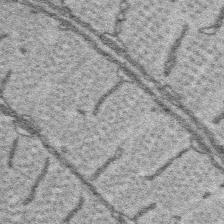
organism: Platynereis dumerilii